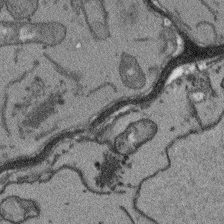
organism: Arabidopsis thaliana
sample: Root tip